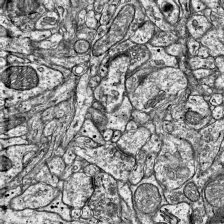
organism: Mouse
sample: Visual Cortex